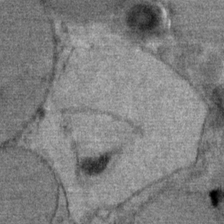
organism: Mouse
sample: Mouse Salivary gland